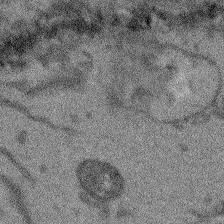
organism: Arabidopsis thaliana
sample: Root tip